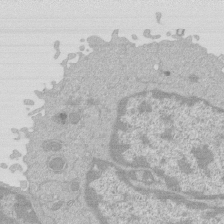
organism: Mouse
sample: Activated Pmel transgenic CD8+ T Cells